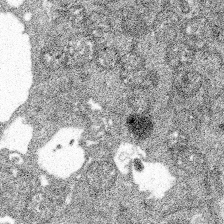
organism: Spongilla lacustris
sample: Multiple